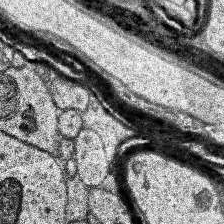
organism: Human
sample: Temporal Lobe